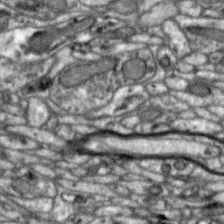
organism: Zebra finch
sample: Brain